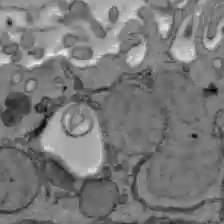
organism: C57BL Mouse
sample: Liver